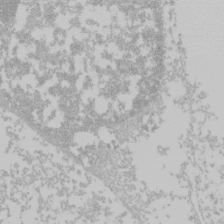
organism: Mouse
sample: Cancer cell death in ED-1 cells